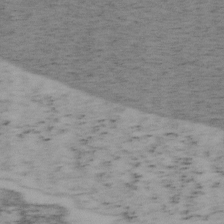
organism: Mouse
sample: OT-I killer T cells with ID8 ovarian cancer cells